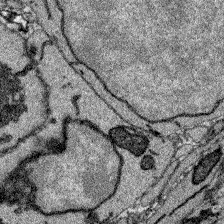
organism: Zebrafish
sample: Larval olfactory bulb